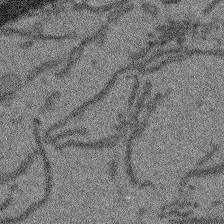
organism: Arabidopsis thaliana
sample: Root tip